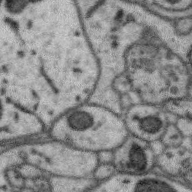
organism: Zebra finch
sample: Brain